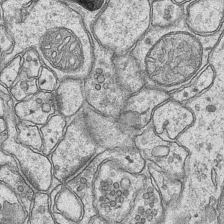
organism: Mouse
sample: CA1 Hippocampus